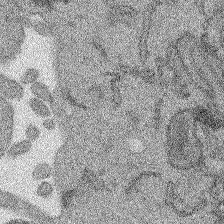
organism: Human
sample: HeLa cells